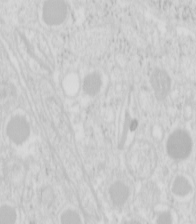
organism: Mouse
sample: Pancreas